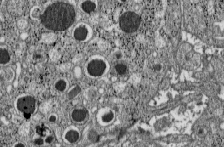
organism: C57BL Mouse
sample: Pancreatic islet